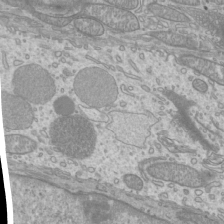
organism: Mouse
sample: Cilia; mouse epididymis